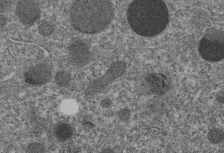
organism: C. elegans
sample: C. elegans embryo early stage